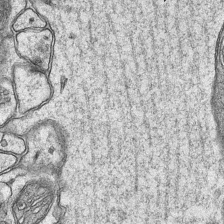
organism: Mouse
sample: CA1 Hippocampus